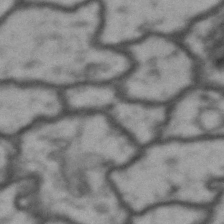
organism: Drosophila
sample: Brain